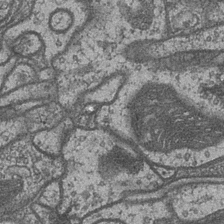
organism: Drosophila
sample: Optic medulla